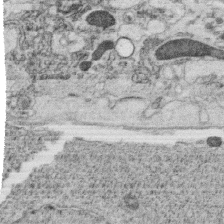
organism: C. elegans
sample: C. elegans oocyte; sperm cells